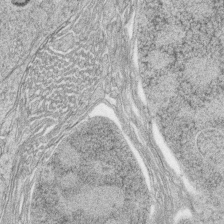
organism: Zebrafish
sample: synaptic ribbons in rod cells and cone cells